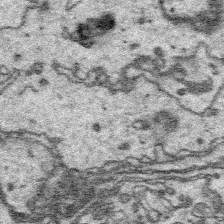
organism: Platynereis dumerilii